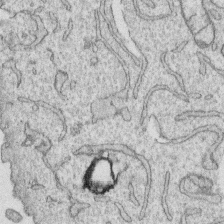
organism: Human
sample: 1205lu cells